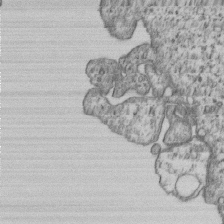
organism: Human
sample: MDA-MB-231 cells